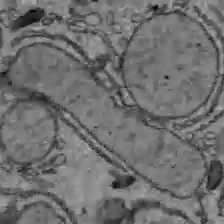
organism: C57BL Mouse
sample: Liver